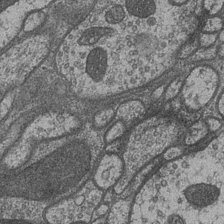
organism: Drosophila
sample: Optic medulla